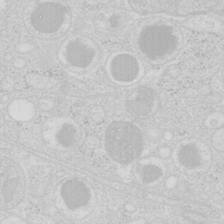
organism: Mouse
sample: Pancreas